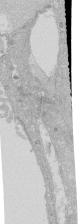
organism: Human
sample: Caco-2 cells